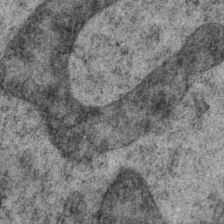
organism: P. pacificus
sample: Pharynx